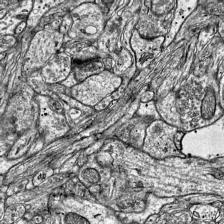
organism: Mouse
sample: Visual Cortex